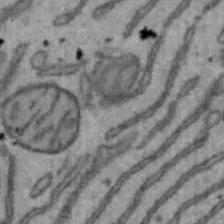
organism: Mouse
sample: Liver